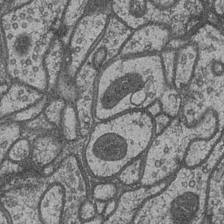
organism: Drosophila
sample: Optic medulla